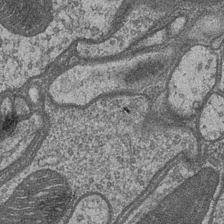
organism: Drosophila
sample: Optic medulla